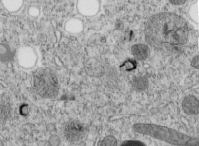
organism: C. elegans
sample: C. elegans embryo early stage